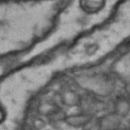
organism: Drosophila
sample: Brain